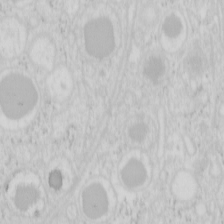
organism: Mouse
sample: Pancreas